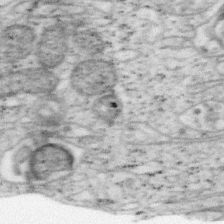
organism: Mouse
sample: OT-I killer T cells with ID8 ovarian cancer cells